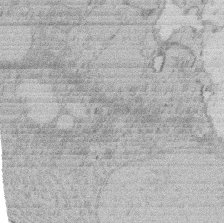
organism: Rat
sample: Salivary granule